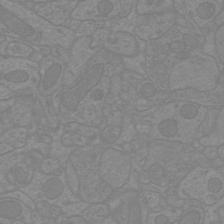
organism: Mouse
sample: Cortical neurons